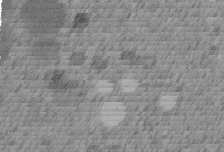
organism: C. elegans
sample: C. elegans embryo early stage